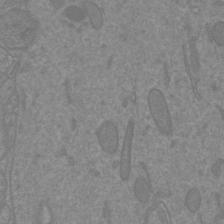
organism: Mouse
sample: Cortical neurons